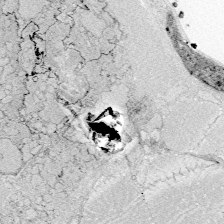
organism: Zebrafish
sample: Whole-Brain